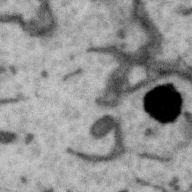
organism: Zebra finch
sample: Brain